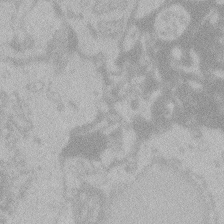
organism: Zebrafish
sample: Macrophage infected with Toxoplasma gondii